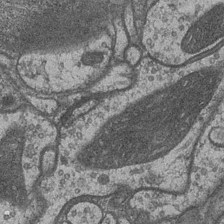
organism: Drosophila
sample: Optic medulla